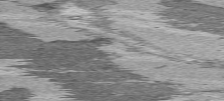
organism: C57BL Mouse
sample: Heart